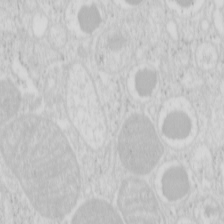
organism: Mouse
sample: Pancreas